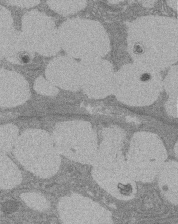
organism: Rat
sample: Salivary granule